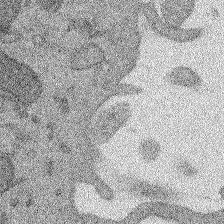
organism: Human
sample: HeLa cells